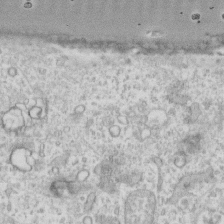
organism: Human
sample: Fibroblast cells